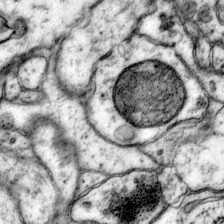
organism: Mouse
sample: Primary visual cortex